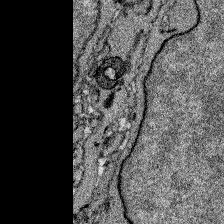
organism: Zebrafish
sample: Larval olfactory bulb